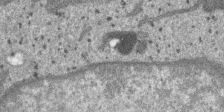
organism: Human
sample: Lung epithelial cells infected with SARS-CoV-2